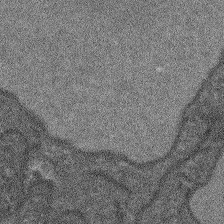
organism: Arabidopsis thaliana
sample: Root tip